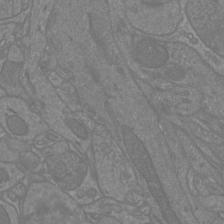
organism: Mouse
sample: Cortical neurons